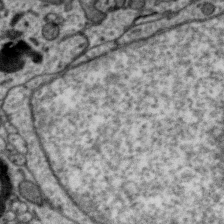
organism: Zebra finch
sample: Brain